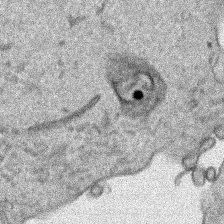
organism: Human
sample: Mitochondria in HCT116 cells